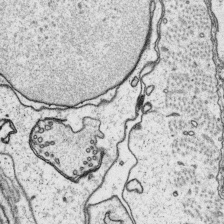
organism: Platynereis dumerilii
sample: Parapodia